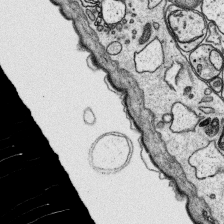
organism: Platynereis dumerilii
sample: Parapodia